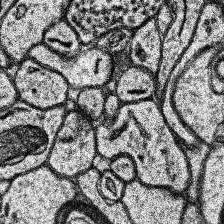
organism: Human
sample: Temporal Lobe